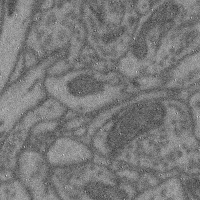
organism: Mouse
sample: Cerebral cortex